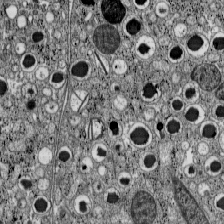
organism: C57BL Mouse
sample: Pancreatic islet